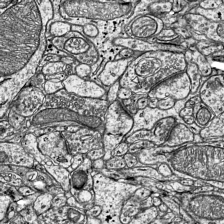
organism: Mouse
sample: Visual Cortex